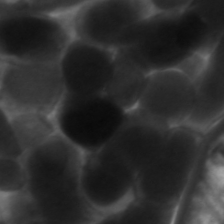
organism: C. elegans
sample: Pharynx